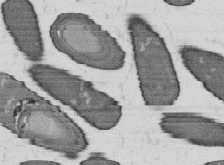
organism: B. subtilis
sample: Bacterial spore